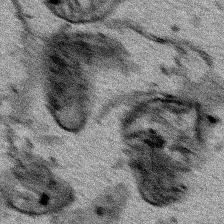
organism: Human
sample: Mitochondria in HCT116 cells